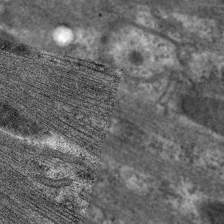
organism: C. elegans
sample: Pharynx